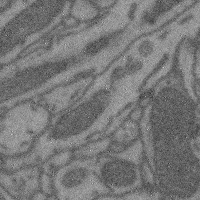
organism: Mouse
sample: Cerebral cortex